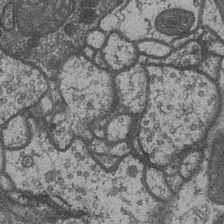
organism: Drosophila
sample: Optic medulla